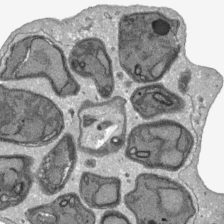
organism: Plasmodium falciparum